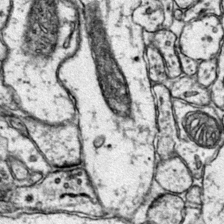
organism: Mouse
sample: Primary visual cortex